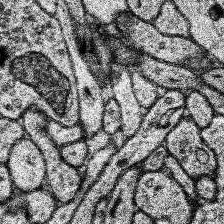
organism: Human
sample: Temporal Lobe